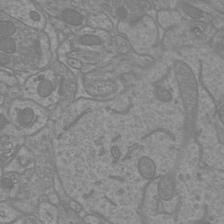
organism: Mouse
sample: Cortical neurons